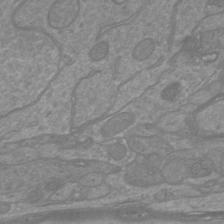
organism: Mouse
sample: Cortical neurons